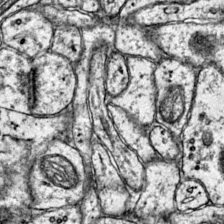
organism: Mouse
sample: Primary visual cortex